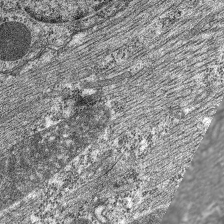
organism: C. elegans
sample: Pharynx